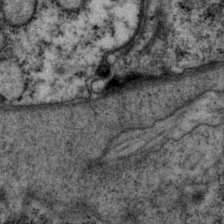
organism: P. pacificus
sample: Pharynx